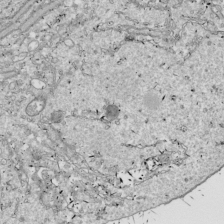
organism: Drosophila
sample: Cell division; meiosis; drosophila spermatocytes